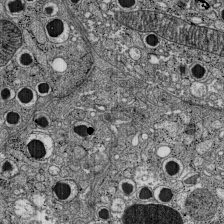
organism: C57BL Mouse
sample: Pancreatic islet